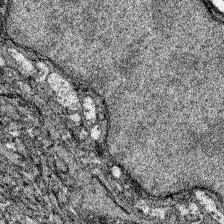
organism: Zebrafish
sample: Larval olfactory bulb